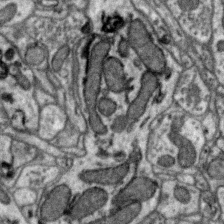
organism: Zebra finch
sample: Brain